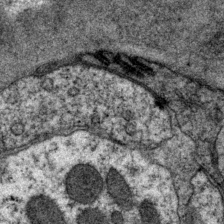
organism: P. pacificus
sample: Pharynx